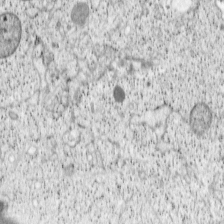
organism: African green monkey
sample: COS-7 cells